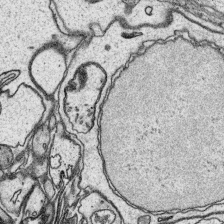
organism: Platynereis dumerilii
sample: Parapodia